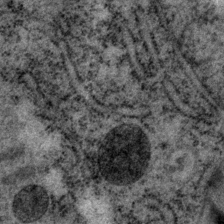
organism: P. pacificus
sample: Pharynx